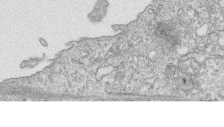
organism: Human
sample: HeLa cell HIV synapse